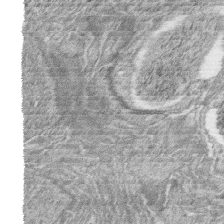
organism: Zebrafish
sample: synaptic ribbons in rod cells and cone cells